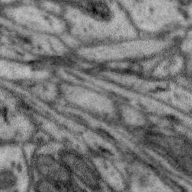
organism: Zebra finch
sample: Brain